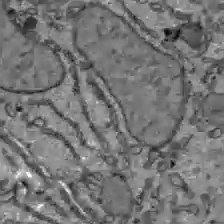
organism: C57BL Mouse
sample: Liver